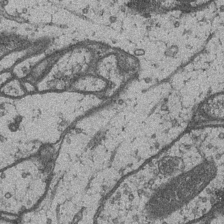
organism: Drosophila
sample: Optic medulla